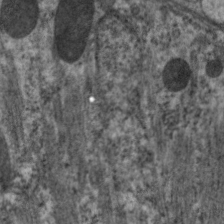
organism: C. elegans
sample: Pharynx